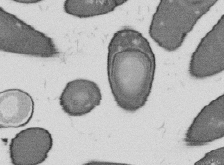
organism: B. subtilis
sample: Bacterial spore